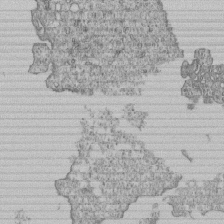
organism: Human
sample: MDA-MB-231 cells